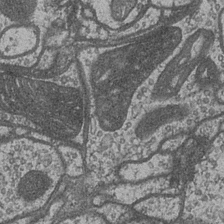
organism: Drosophila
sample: Optic medulla